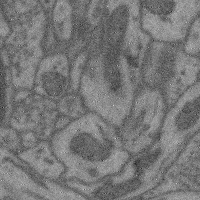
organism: Mouse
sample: Cerebral cortex